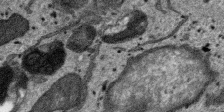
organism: Human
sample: Lung epithelial cells, uninfected (mock) control